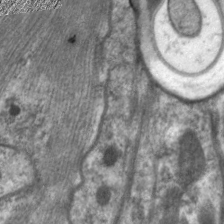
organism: C. elegans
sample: Pharynx